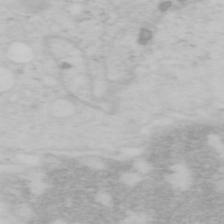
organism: Mouse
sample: OT-I killer T cells with ID8 ovarian cancer cells